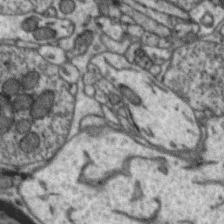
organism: Zebra finch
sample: Brain